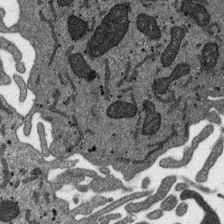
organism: Human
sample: Lung epithelial cells infected with SARS-CoV-2